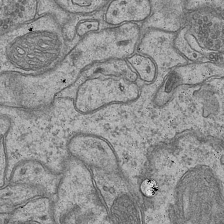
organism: Mouse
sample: CA1 Hippocampus